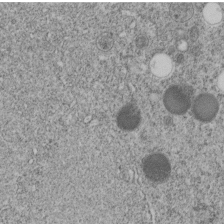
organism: C. elegans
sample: C. elegans embryo early stage